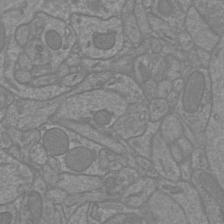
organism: Mouse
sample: Cortical neurons